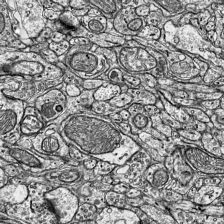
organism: Mouse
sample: Visual Cortex